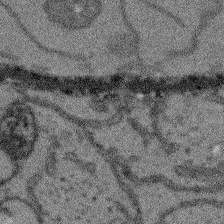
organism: Arabidopsis thaliana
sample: Root tip